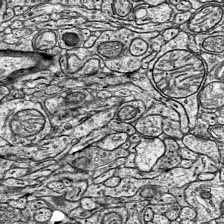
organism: Mouse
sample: Visual Cortex